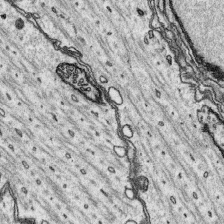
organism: Platynereis dumerilii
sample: Parapodia